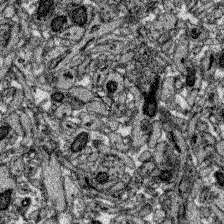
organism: Zebrafish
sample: Larval olfactory bulb